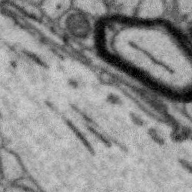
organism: Zebra finch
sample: Brain